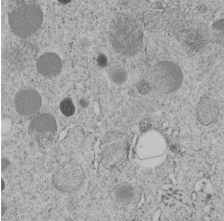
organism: C. elegans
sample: C. elegans embryo early stage